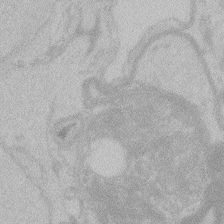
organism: Zebrafish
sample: Macrophage infected with Toxoplasma gondii